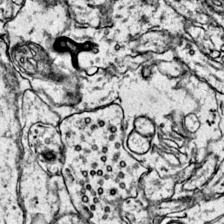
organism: Mouse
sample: Primary visual cortex